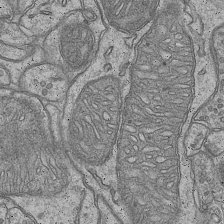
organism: Mouse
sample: CA1 Hippocampus